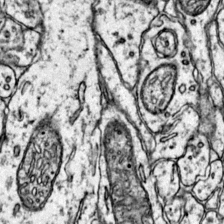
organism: Mouse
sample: Primary visual cortex